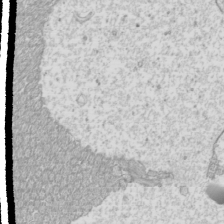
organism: Mouse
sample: Cilia; mouse epididymis